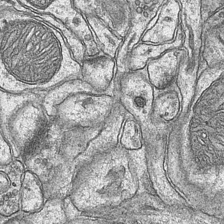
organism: Mouse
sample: CA1 Hippocampus